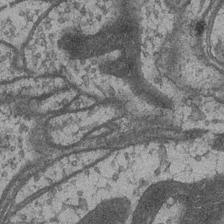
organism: Drosophila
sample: Optic medulla